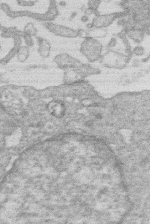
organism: Human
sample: Macrophage cells